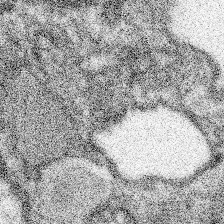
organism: Spongilla lacustris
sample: Neuroid cell